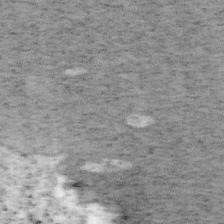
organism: Mouse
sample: OT-I killer T cells with ID8 ovarian cancer cells